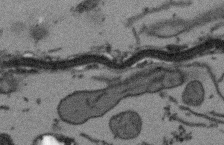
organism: Arabidopsis thaliana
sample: Root tip